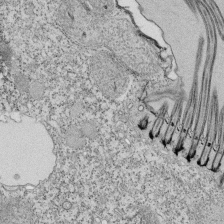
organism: Tetrahymena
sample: Cilia in tetrahymena